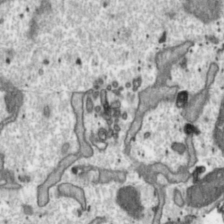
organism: Toxoplasma gondii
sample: Parasites in a vacuole inside a host cell